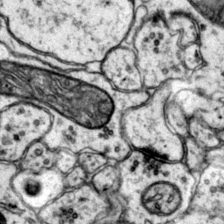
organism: Mouse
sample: Primary visual cortex